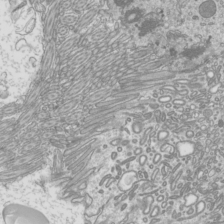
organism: Mouse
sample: Cilia; mouse epididymis